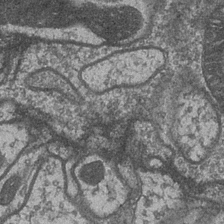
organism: Drosophila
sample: Optic medulla